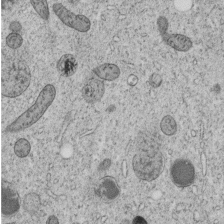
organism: C. elegans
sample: C. elegans embryo early stage